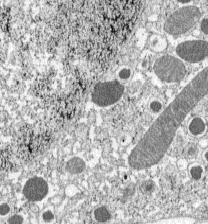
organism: C57BL Mouse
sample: Pancreatic islet